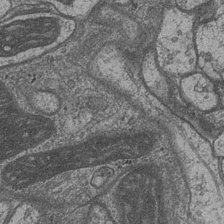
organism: Drosophila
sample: Optic medulla